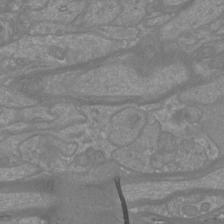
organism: Mouse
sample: Cortical neurons